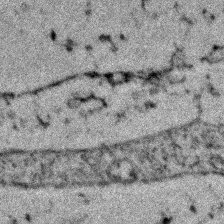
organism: Zebrafish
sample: Zebrafish embryo